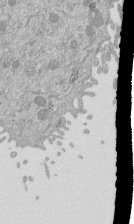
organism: Mouse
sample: ED-1 cell nuclei; centrioles